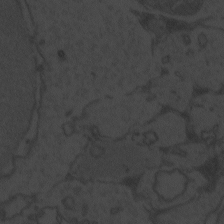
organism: Zebrafish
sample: Macrophage infected with Toxoplasma gondii